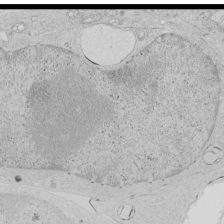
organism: Human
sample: Mitochondria in HCT116 cells